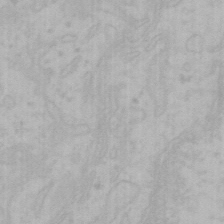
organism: Mouse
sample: Choroid plexus